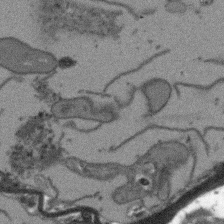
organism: Arabidopsis thaliana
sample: Root tip